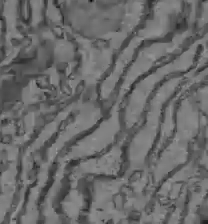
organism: C57BL Mouse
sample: Liver